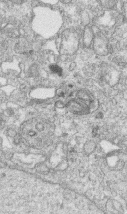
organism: Human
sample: HeLa cell HIV synapse